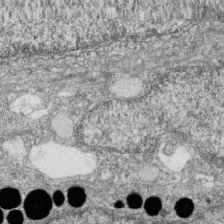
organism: Zebrafish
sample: Cilia; retinal pigment epithelium